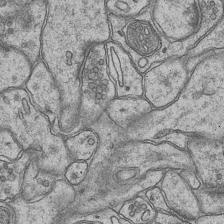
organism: Mouse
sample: CA1 Hippocampus